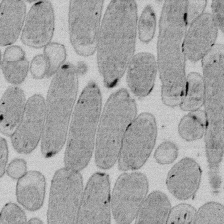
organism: E. coli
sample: Bacterial nucleoid